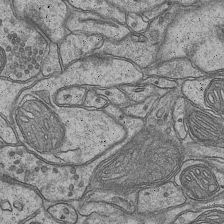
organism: Mouse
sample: CA1 Hippocampus